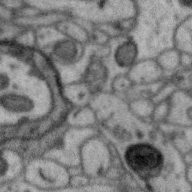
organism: Zebra finch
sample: Brain